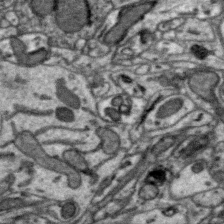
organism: Zebra finch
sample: Brain